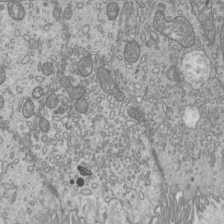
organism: Mouse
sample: Cilia; mouse epididymis